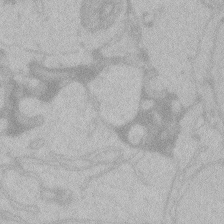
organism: Zebrafish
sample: Macrophage infected with Toxoplasma gondii